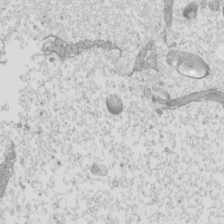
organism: Mouse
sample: Cilia; mouse epididymis